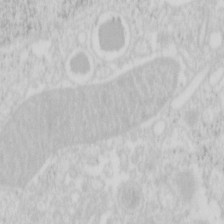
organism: Mouse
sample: Pancreas